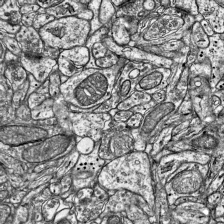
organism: Mouse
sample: Visual Cortex